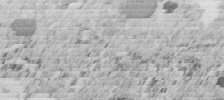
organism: C. elegans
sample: C. elegans embryo early stage